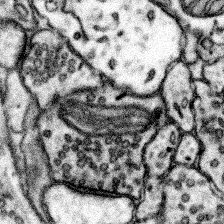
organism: Mouse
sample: Somatosensory cortex neuropil